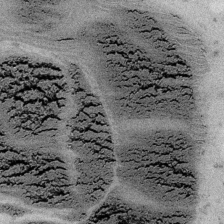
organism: Embia sp.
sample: Silk gland